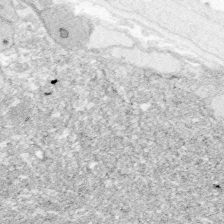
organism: Zebrafish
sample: Whole-Brain